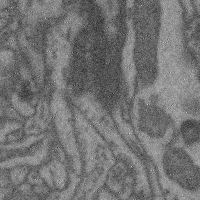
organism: Mouse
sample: Cerebral cortex